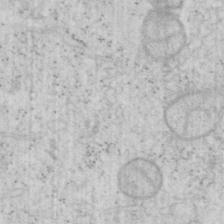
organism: Human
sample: HeLa cells